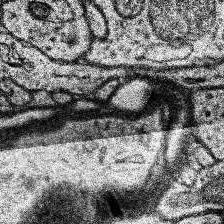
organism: Human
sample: Temporal Lobe